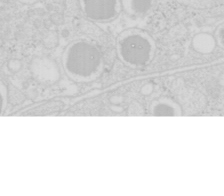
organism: Mouse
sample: Pancreas